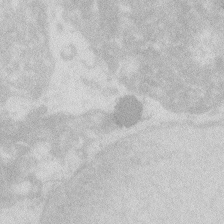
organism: Zebrafish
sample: Macrophage